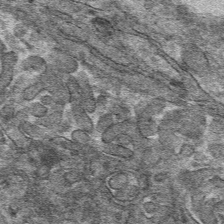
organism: Mouse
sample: Mouse hepatocytes